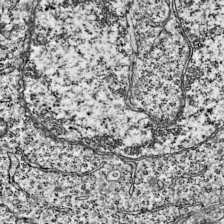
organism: Mouse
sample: Visual Cortex